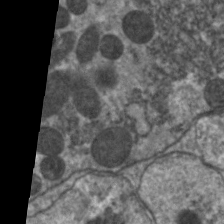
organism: C. elegans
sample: Pharynx